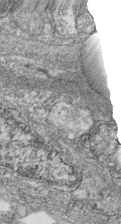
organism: Zebrafish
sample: Cilia; retinal pigment epithelium